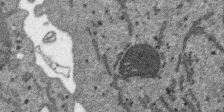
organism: Human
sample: Lung epithelial cells infected with SARS-CoV-2